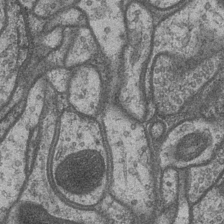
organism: Drosophila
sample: Optic medulla